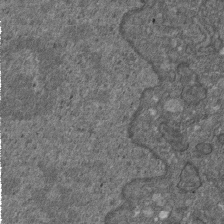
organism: Drosophila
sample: Nephrocyte